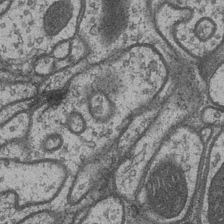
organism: Drosophila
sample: Optic medulla